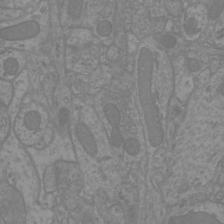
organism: Mouse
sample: Cortical neurons